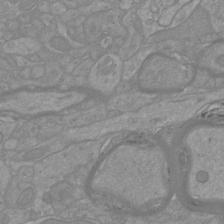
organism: Mouse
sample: Cortical neurons